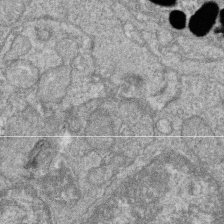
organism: Zebrafish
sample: Cilia; retinal pigment epithelium